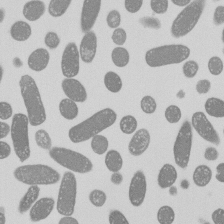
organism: E. coli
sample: Bacterial nucleoid